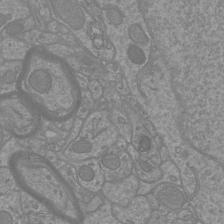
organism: Mouse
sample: Cortical neurons